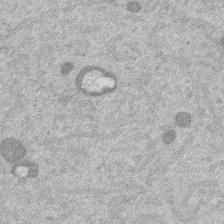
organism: Mouse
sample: Dividing mouse embryo 1 cell stage